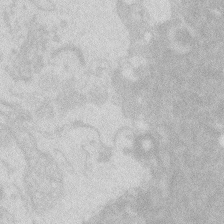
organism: Zebrafish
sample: Macrophage